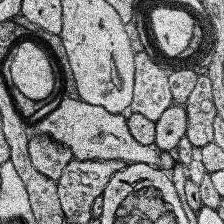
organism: Human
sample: Temporal Lobe